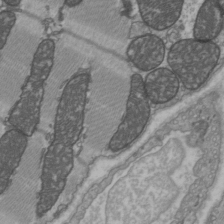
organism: C57BL Mouse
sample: Heart